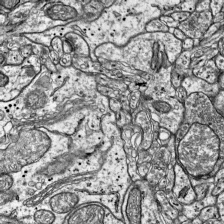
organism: Mouse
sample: Visual Cortex